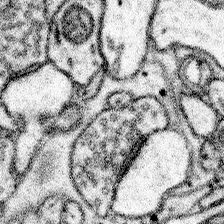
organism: Mouse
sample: Somatosensory cortex neuropil